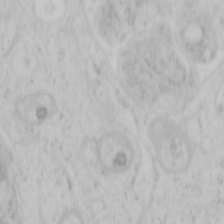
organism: Mouse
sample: OT-I killer T cells with ID8 ovarian cancer cells